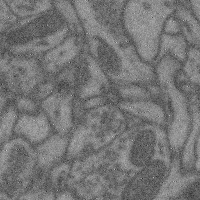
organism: Mouse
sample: Cerebral cortex